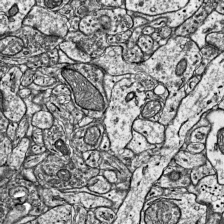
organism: Mouse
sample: Visual Cortex